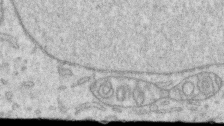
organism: Human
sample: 1205lu cells